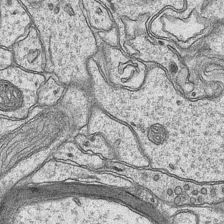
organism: Mouse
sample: CA1 Hippocampus